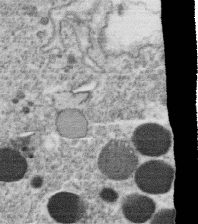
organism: C. elegans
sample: C. elegans oocyte; sperm cells